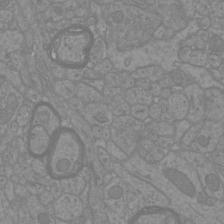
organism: Mouse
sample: Cortical neurons